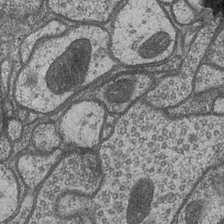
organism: Drosophila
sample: Optic medulla